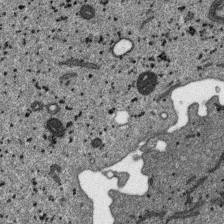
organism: Human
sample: Lung epithelial cells infected with SARS-CoV-2